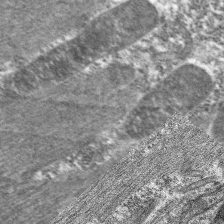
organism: C. elegans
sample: Pharynx